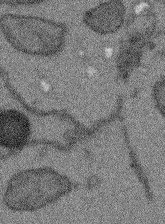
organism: Arabidopsis thaliana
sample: Root tip